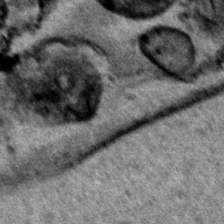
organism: Human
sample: Mitochondria in HCT116 cells